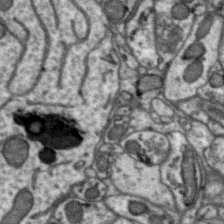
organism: Zebra finch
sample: Brain